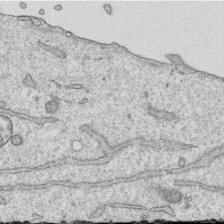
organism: Human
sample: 1205lu cells